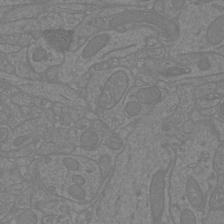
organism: Mouse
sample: Cortical neurons